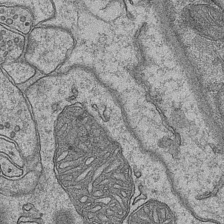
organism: Mouse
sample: CA1 Hippocampus